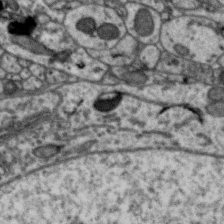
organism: Zebra finch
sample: Brain